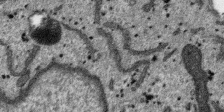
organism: Human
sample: Lung epithelial cells, uninfected (mock) control